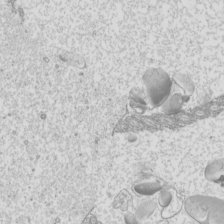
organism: Mouse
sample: Cilia; mouse epididymis